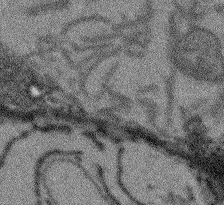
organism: Arabidopsis thaliana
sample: Root tip